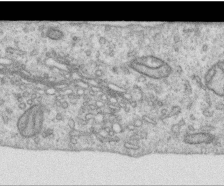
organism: Human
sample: Centriole in RPE cells